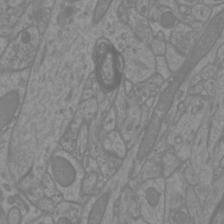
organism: Mouse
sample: Cortical neurons